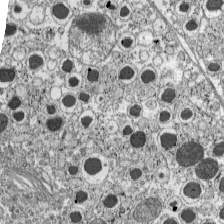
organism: C57BL Mouse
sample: Pancreatic islet